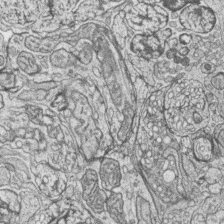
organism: Zebrafish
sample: synaptic ribbons in rod cells and cone cells